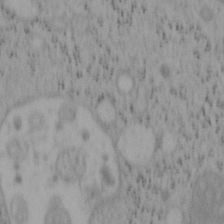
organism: Mouse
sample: OT-I killer T cells with ID8 ovarian cancer cells